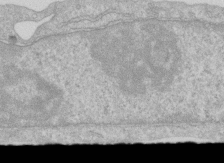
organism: Human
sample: Centriole in RPE cells